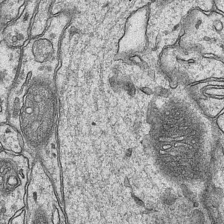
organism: Mouse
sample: CA1 Hippocampus